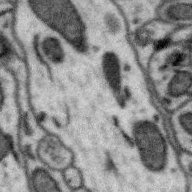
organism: Zebra finch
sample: Brain